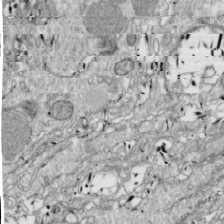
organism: Drosophila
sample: Cell division; meiosis; drosophila spermatocytes